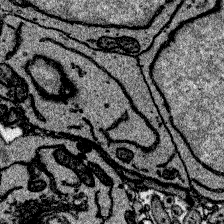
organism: Zebrafish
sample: Larval olfactory bulb